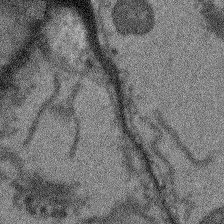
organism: Arabidopsis thaliana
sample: Root tip